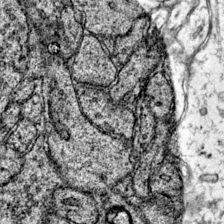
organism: Mouse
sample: Primary visual cortex